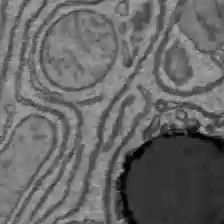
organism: C57BL Mouse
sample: Liver